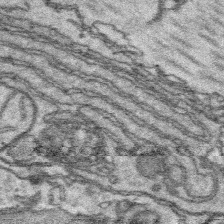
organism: Platynereis dumerilii